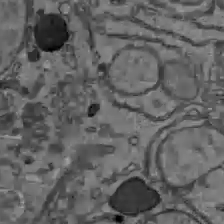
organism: C57BL Mouse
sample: Liver